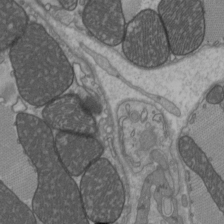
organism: C57BL Mouse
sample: Heart